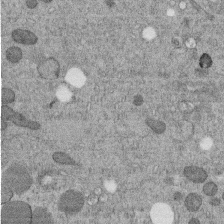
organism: C. elegans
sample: C. elegans embryo early stage